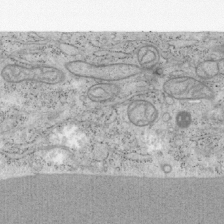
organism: Human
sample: HeLa cells